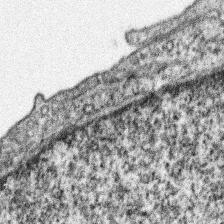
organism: Human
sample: HeLa cells